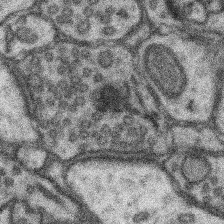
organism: Mouse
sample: Somatosensory cortex neuropil